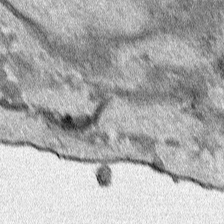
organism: Human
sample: Mitochondria in HCT116 cells